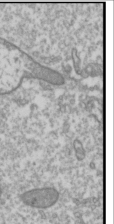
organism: Drosophila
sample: Cell division; meiosis; drosophila spermatocytes